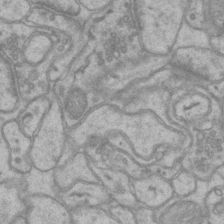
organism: Mouse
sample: CA1 Hippocampus